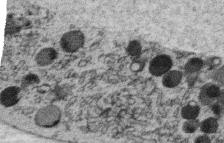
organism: C. elegans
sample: C. elegans oocyte; sperm cells